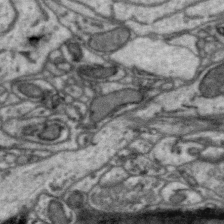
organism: Zebra finch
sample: Brain